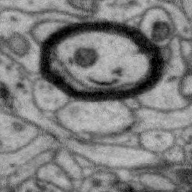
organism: Zebra finch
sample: Brain